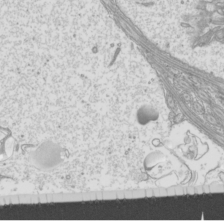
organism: Mouse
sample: Cilia; mouse epididymis